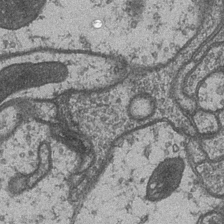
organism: Drosophila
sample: Optic medulla